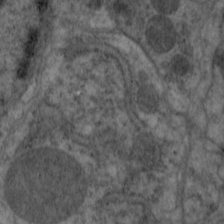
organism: C. elegans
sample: Pharynx